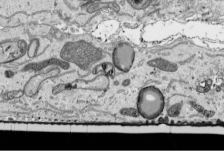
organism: Human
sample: Mitochondria in HCT116 cells